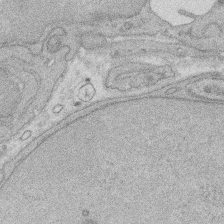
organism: Rat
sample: Salivary granule